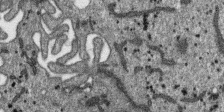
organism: Human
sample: Lung epithelial cells infected with SARS-CoV-2